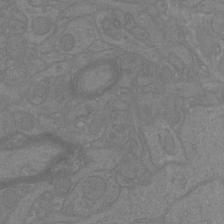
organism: Mouse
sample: Cortical neurons